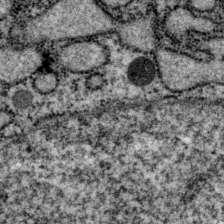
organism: P. pacificus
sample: Pharynx